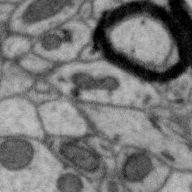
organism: Zebra finch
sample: Brain